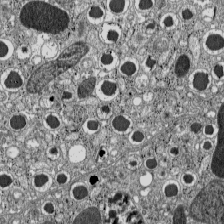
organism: C57BL Mouse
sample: Pancreatic islet